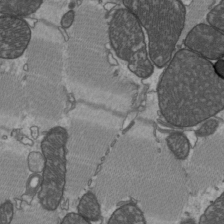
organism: C57BL Mouse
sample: Heart